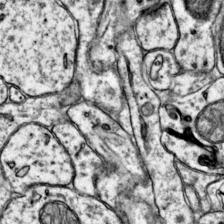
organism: Mouse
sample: Primary visual cortex